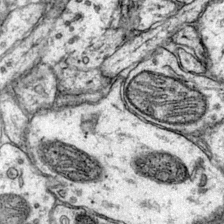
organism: Mouse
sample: Primary visual cortex